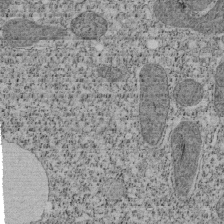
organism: Tetrahymena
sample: Cilia in tetrahymena